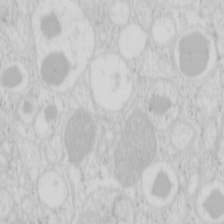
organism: Mouse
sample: Pancreas